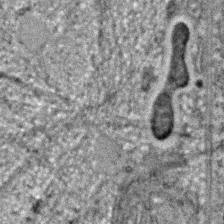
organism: C. elegans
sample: C. elegans embryo